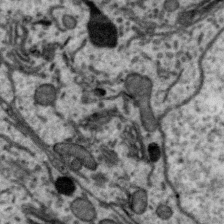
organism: Zebra finch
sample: Brain